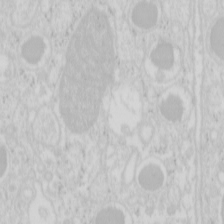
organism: Mouse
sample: Pancreas